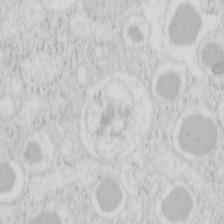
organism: Mouse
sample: Pancreas